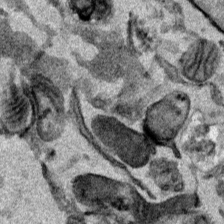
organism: Mouse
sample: Cancer cell death in ED-1 cells